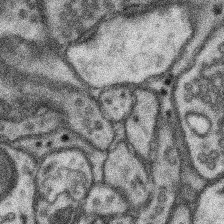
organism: Mouse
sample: Somatosensory cortex neuropil